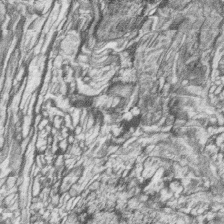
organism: Zebrafish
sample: synaptic ribbons in rod cells and cone cells